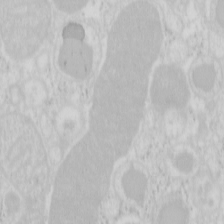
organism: Mouse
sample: Pancreas